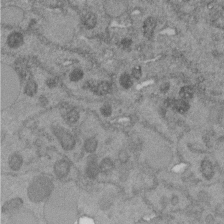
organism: C. elegans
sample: C. elegans embryo early stage